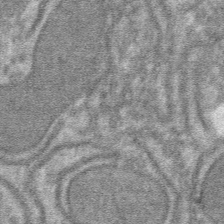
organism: Mouse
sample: Mouse hepatocytes